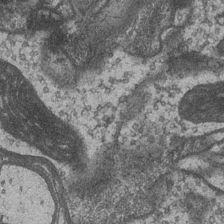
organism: Drosophila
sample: Optic medulla